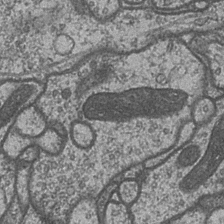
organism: Drosophila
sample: Optic medulla